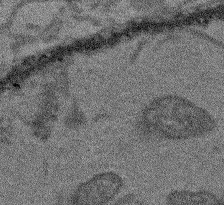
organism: Arabidopsis thaliana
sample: Root tip